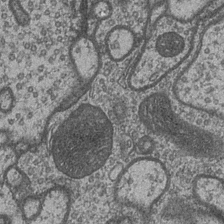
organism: Drosophila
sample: Optic medulla